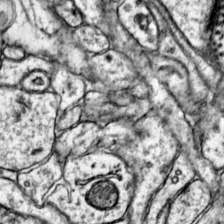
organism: Mouse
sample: Primary visual cortex